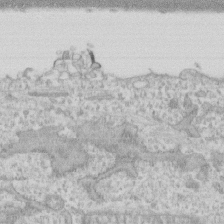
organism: Human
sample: CRL-1474